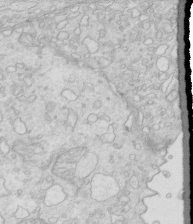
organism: Mouse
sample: Multiciliated cells